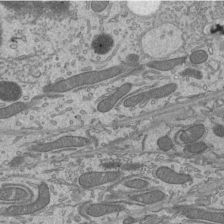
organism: Mouse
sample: Mouse epididymis efferent ductule cilia